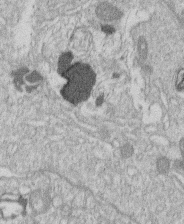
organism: Human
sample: Macrophage cells